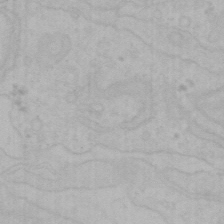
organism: Mouse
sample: Choroid plexus